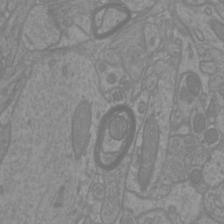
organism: Mouse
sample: Cortical neurons